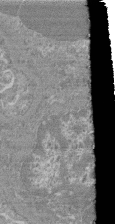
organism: Mouse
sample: Glomerulus